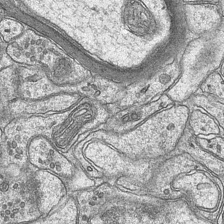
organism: Mouse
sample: CA1 Hippocampus